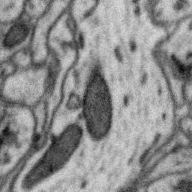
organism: Zebra finch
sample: Brain